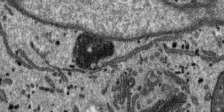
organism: Human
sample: Lung epithelial cells, uninfected (mock) control